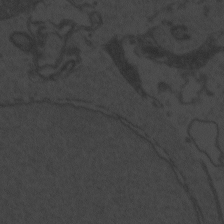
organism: Zebrafish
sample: Macrophage infected with Toxoplasma gondii